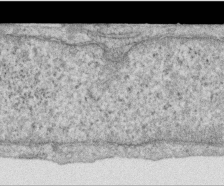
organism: Human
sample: Centriole in RPE cells